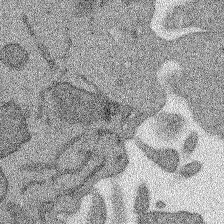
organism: Human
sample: HeLa cells